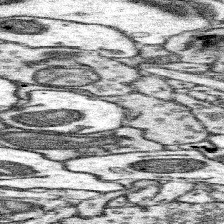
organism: Mouse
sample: Somatosensory cortex neuropil